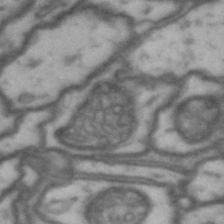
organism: Drosophila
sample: Brain